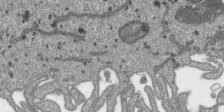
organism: Human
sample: Lung epithelial cells infected with SARS-CoV-2